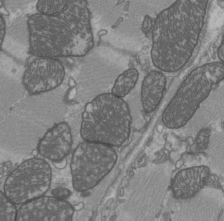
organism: C57BL Mouse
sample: Heart